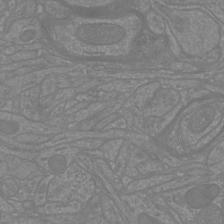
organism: Mouse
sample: Cortical neurons